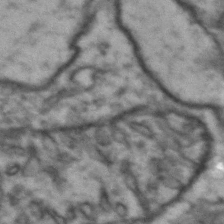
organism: Drosophila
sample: Brain